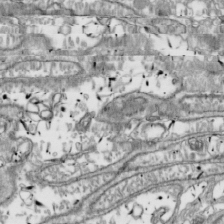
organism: Drosophila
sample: Cell division; meiosis; drosophila spermatocytes